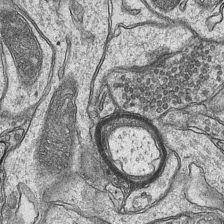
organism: Mouse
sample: CA1 Hippocampus